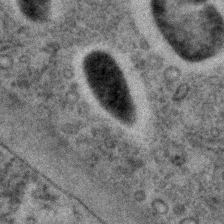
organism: C. elegans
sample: C. elegans embryo